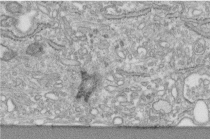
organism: Human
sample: Centriole in fibroblast cells